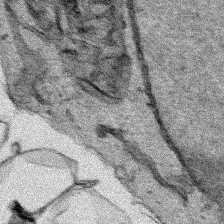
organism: Human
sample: Mitochondria in HCT116 cells